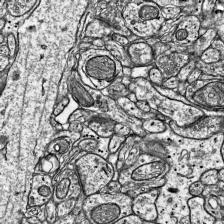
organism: Mouse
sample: Visual Cortex